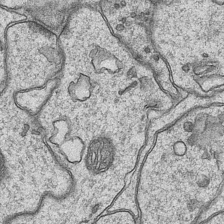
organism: Mouse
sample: CA1 Hippocampus